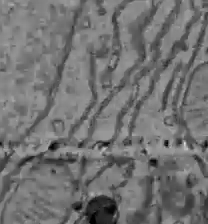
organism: C57BL Mouse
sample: Liver